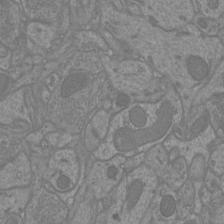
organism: Mouse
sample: Cortical neurons